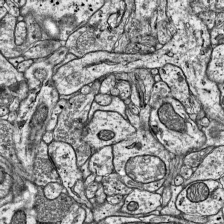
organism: Mouse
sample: Visual Cortex